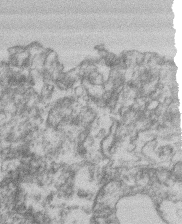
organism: Mouse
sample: T cell stromal cell synapse